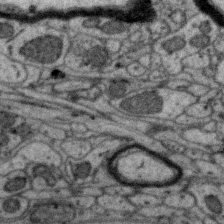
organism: Zebra finch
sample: Brain